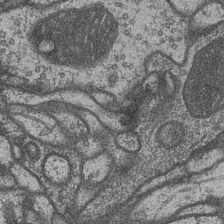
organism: Drosophila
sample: Optic medulla